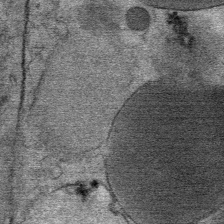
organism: Mouse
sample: Mouse Salivary gland